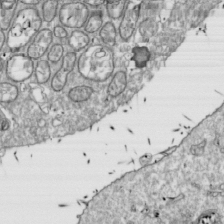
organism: Drosophila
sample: Cell division; meiosis; drosophila spermatocytes